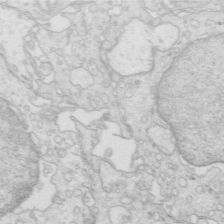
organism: Mouse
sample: Multiciliated cells